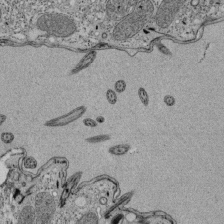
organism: Tetrahymena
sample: Cilia in tetrahymena